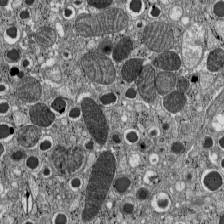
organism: C57BL Mouse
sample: Pancreatic islet